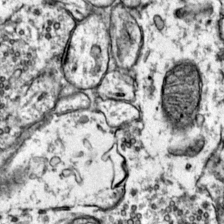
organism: Mouse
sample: Primary visual cortex